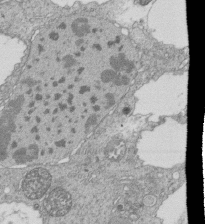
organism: Tetrahymena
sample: Cilia in tetrahymena